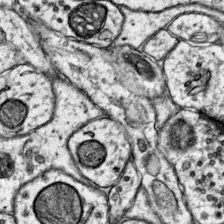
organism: Mouse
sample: Primary visual cortex